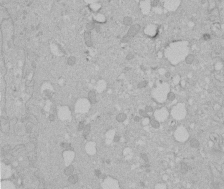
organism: Human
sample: Melanocyte Keratinocyte synapse skin construct